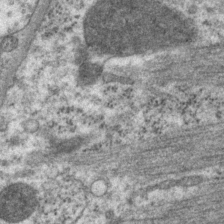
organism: P. pacificus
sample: Pharynx